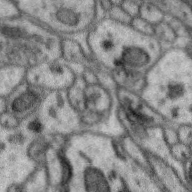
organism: Zebra finch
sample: Brain